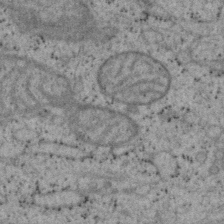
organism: Human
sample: HeLa cells